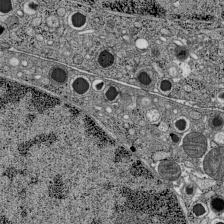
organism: C57BL Mouse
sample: Pancreatic islet